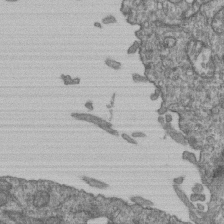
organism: Human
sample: Retinal organoid Rod and Cone cells